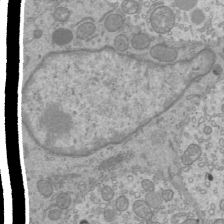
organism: Mouse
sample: Cilia; mouse epididymis